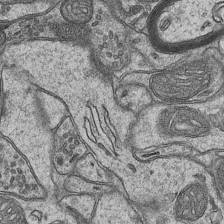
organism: Mouse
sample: CA1 Hippocampus